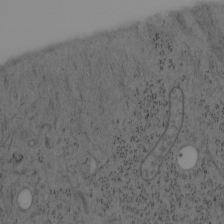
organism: Mouse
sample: OT-I killer T cells with ID8 ovarian cancer cells